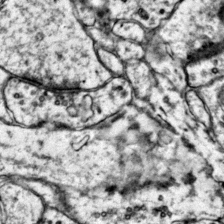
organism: Mouse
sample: Primary visual cortex